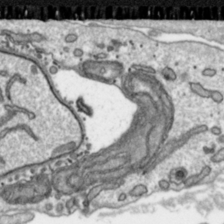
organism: Toxoplasma gondii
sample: Parasites in a vacuole inside a host cell